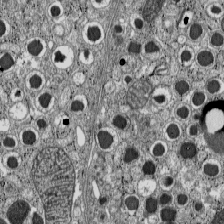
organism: C57BL Mouse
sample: Pancreatic islet